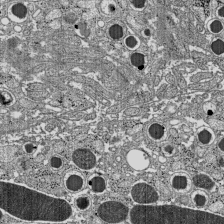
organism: C57BL Mouse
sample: Pancreatic islet